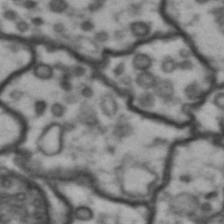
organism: Drosophila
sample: Brain